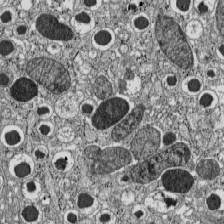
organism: C57BL Mouse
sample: Pancreatic islet